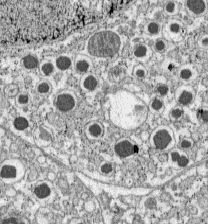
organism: C57BL Mouse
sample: Pancreatic islet